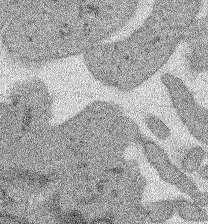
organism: Human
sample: HeLa cells